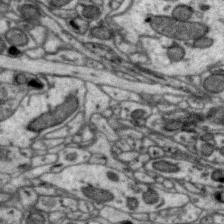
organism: Zebra finch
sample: Brain